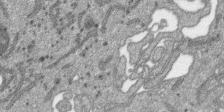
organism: Human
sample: Lung epithelial cells infected with SARS-CoV-2